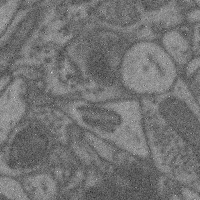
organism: Mouse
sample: Cerebral cortex